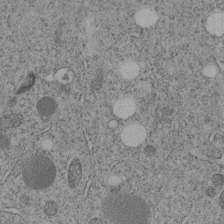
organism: C. elegans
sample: C. elegans embryo early stage